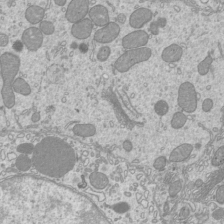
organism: Mouse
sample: Cilia; mouse epididymis